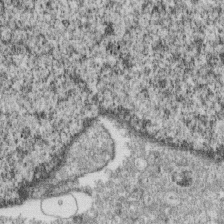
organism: African green monkey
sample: Vero E6 cells infected with SARS-CoV-2